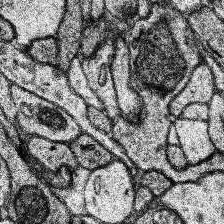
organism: Human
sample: Temporal Lobe